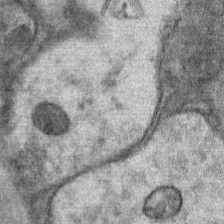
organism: Mouse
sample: Mouse Salivary gland